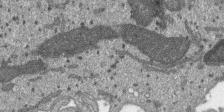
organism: Human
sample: Lung epithelial cells infected with SARS-CoV-2